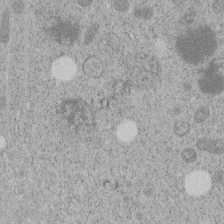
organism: C. elegans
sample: C. elegans embryo early stage